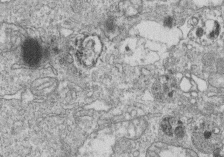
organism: Human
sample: HeLa cell HIV synapse